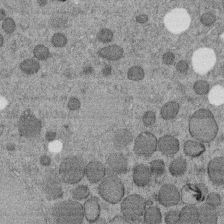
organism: C. elegans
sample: C. elegans embryo early stage